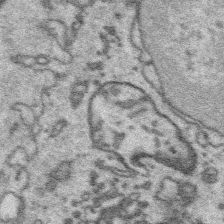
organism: Platynereis dumerilii